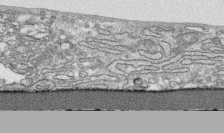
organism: Human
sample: CRL-1474